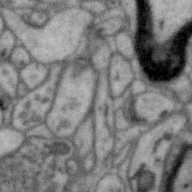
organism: Zebra finch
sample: Brain